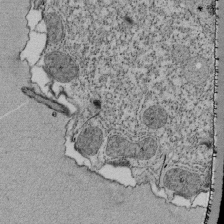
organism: Tetrahymena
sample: Cilia in tetrahymena